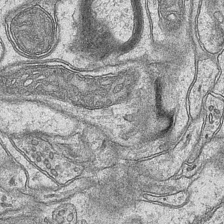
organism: Mouse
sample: CA1 Hippocampus